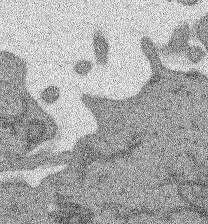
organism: Human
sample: HeLa cells